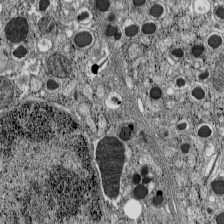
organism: C57BL Mouse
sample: Pancreatic islet